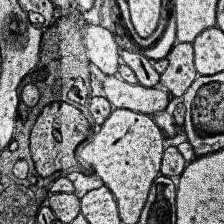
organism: Human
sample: Temporal Lobe